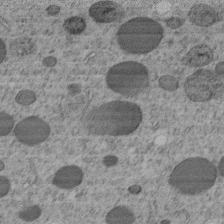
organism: C. elegans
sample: C. elegans embryo early stage